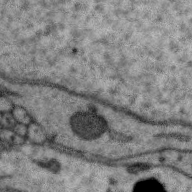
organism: Zebra finch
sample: Brain